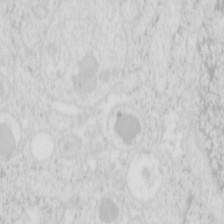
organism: Mouse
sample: Pancreas